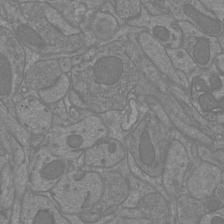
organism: Mouse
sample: Cortical neurons